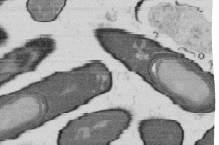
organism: B. subtilis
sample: Bacterial spore